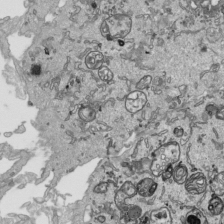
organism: Human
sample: Mitochondria in HCT116 cells